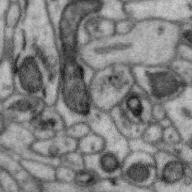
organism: Zebra finch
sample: Brain